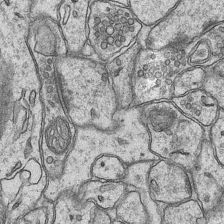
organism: Mouse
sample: CA1 Hippocampus